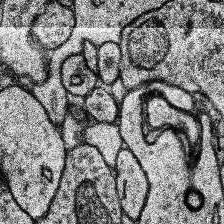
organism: Human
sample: Temporal Lobe